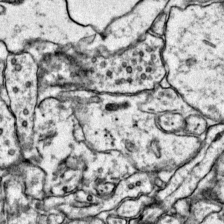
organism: Mouse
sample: Primary visual cortex